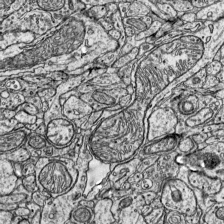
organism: Mouse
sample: Visual Cortex